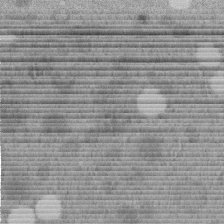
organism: C. elegans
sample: C. elegans embryo early stage